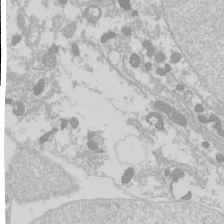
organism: Drosophila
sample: Cell division; meiosis; drosophila spermatocytes